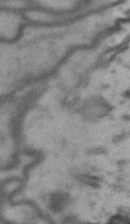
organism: Drosophila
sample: Brain